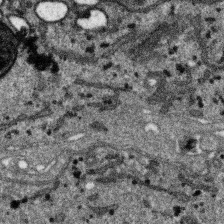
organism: Human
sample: Lung epithelial cells infected with SARS-CoV-2